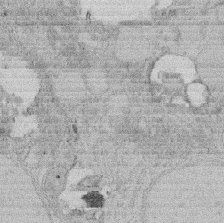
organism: Rat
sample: Salivary granule